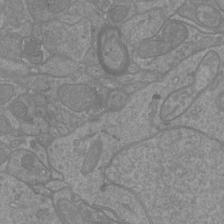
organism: Mouse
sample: Cortical neurons